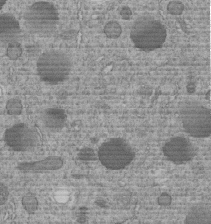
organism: C. elegans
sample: C. elegans embryo early stage